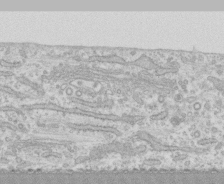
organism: Human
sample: CRL-1474